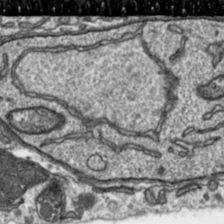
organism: Toxoplasma gondii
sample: Parasites in a vacuole inside a host cell